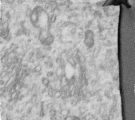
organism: Human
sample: Centriole in RPE cells